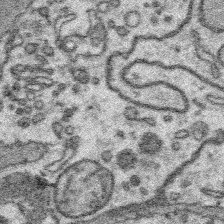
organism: Platynereis dumerilii